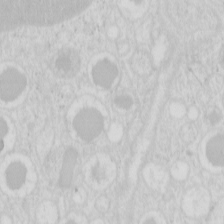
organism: Mouse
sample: Pancreas